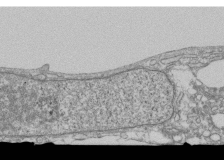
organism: Human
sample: Fibroblast cells